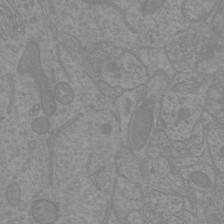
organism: Mouse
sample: Cortical neurons